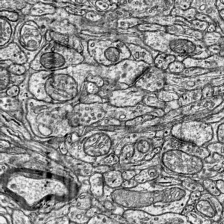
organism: Mouse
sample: Visual Cortex